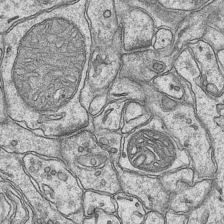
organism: Mouse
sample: CA1 Hippocampus